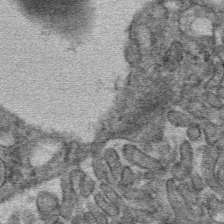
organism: Mouse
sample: Mouse hepatocytes